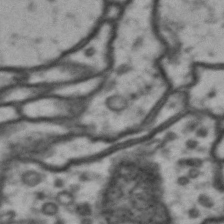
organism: Drosophila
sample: Brain